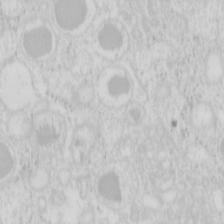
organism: Mouse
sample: Pancreas